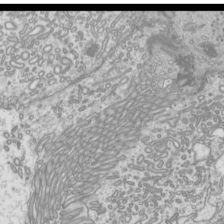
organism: Mouse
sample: Cilia; mouse epididymis